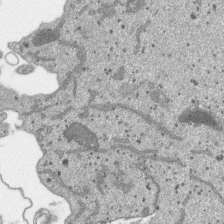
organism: Human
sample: Lung epithelial cells infected with SARS-CoV-2